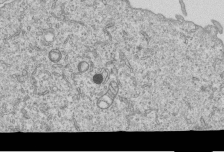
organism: Human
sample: MDA-MB-231 cells